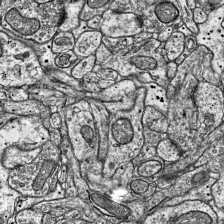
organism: Mouse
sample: Visual Cortex